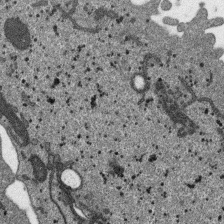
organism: Human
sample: Lung epithelial cells infected with SARS-CoV-2